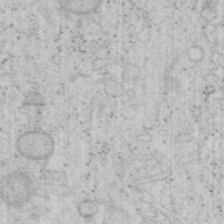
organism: Human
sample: HeLa cells